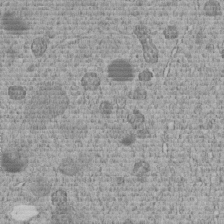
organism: C. elegans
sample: C. elegans embryo early stage